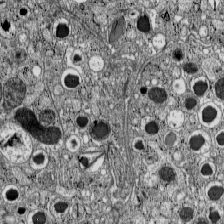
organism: C57BL Mouse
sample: Pancreatic islet